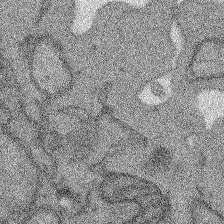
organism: Human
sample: HeLa cells